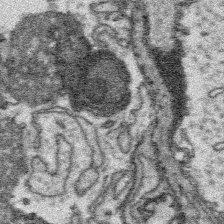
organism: Platynereis dumerilii